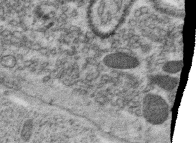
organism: C. elegans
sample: C. elegans oocyte; sperm cells